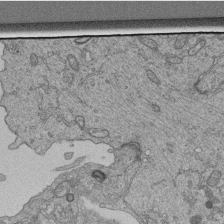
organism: Human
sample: Retinal organoid Rod and Cone cells